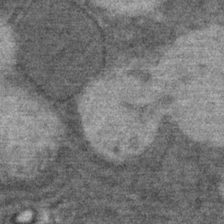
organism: Mouse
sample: Mouse Salivary gland